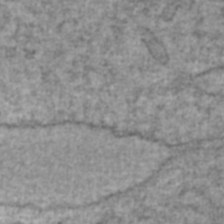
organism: Human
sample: Blood